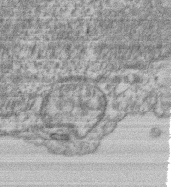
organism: Mouse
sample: T cell stromal cell synapse